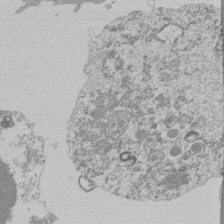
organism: Mouse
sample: Activated Pmel transgenic CD8+ T Cells